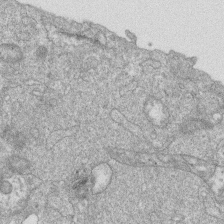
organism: Human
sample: HeLa cell HIV synapse